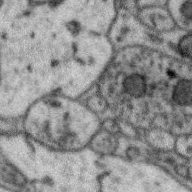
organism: Zebra finch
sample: Brain